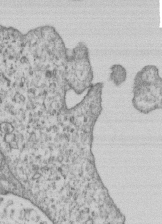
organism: Human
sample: MDA-MB-231 cells